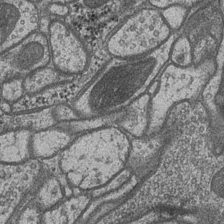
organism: Drosophila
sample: Optic medulla